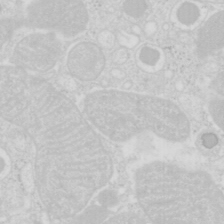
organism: Mouse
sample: Pancreas